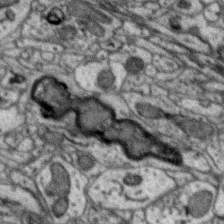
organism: Zebra finch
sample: Brain